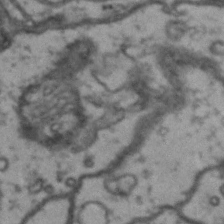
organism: Drosophila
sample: Brain